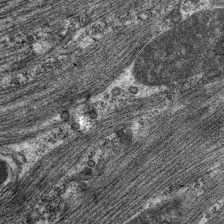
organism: C. elegans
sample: Pharynx